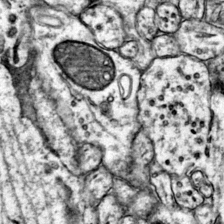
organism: Mouse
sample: Primary visual cortex